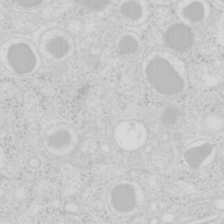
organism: Mouse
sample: Pancreas